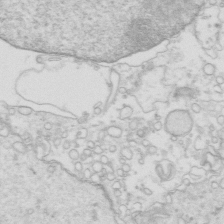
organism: Mouse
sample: Multiciliated cells